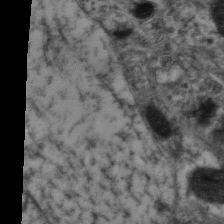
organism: Mouse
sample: Neocortex